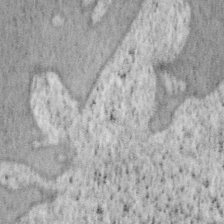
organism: Mouse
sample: OT-I killer T cells with ID8 ovarian cancer cells